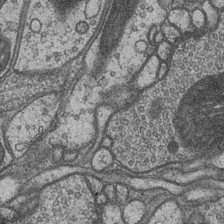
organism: Drosophila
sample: Optic medulla